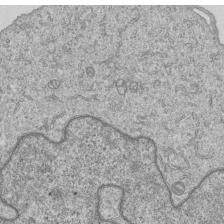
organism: Human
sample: MDA-MB-231 cells